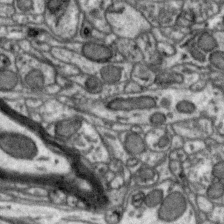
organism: Zebra finch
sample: Brain